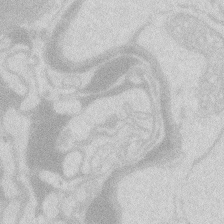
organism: Zebrafish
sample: Macrophage